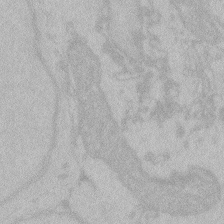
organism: Zebrafish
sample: Macrophage infected with Toxoplasma gondii